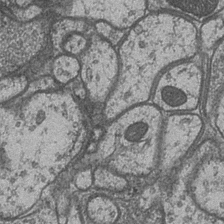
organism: Drosophila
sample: Optic medulla